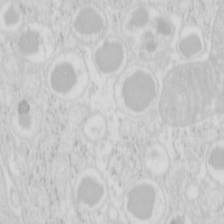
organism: Mouse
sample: Pancreas